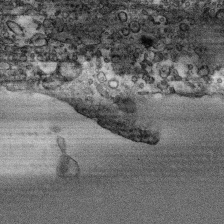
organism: Human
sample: CRL-1474